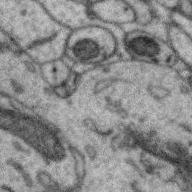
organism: Zebra finch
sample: Brain